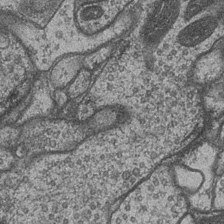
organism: Drosophila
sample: Optic medulla